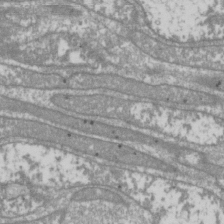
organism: Drosophila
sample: Cell division; meiosis; drosophila spermatocytes